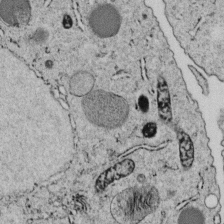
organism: C. elegans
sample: C. elegans embryo early stage